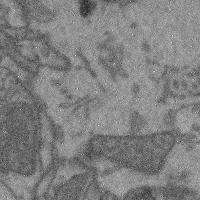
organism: Mouse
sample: Cerebral cortex